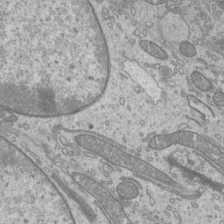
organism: Mouse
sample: Cilia; mouse epididymis